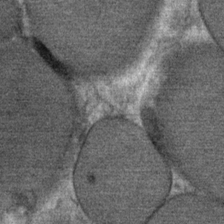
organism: Mouse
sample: Mouse Salivary gland